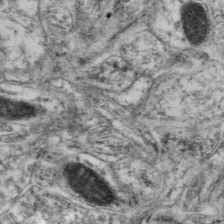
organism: Mouse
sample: Neocortex